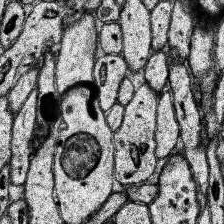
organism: Human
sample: Temporal Lobe